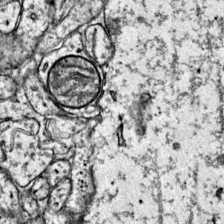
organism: Mouse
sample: Primary visual cortex